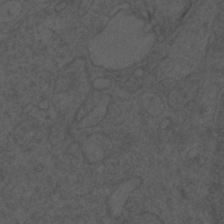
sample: Trachea